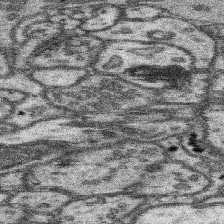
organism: Mouse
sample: Somatosensory cortex neuropil